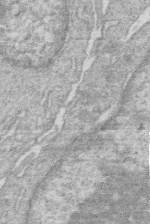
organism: Human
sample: Macrophage cells